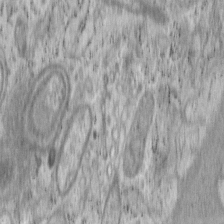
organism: Human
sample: HeLa cells